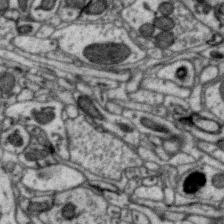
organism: Zebra finch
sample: Brain